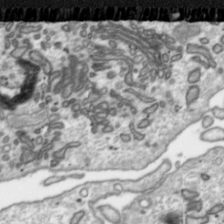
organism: Toxoplasma gondii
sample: Parasites in a vacuole inside a host cell